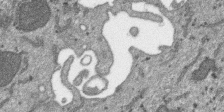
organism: Human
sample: Lung epithelial cells infected with SARS-CoV-2